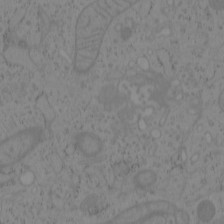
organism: Human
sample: HeLa cells